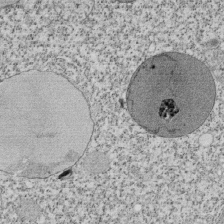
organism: Tetrahymena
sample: Cilia in tetrahymena